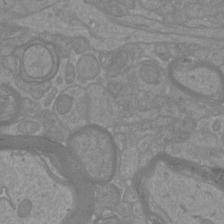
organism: Mouse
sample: Cortical neurons